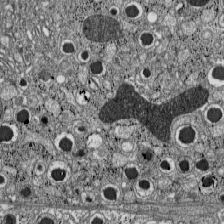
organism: C57BL Mouse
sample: Pancreatic islet